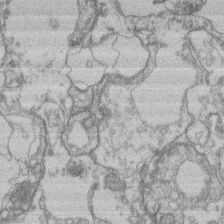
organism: Mouse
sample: T cell stromal cell synapse